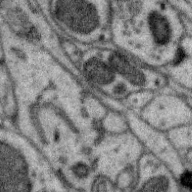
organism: Zebra finch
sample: Brain